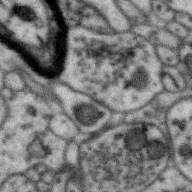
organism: Zebra finch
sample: Brain